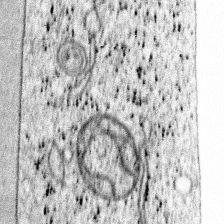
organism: Human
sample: HeLa cells